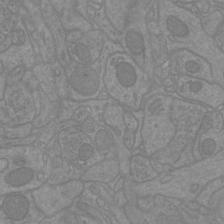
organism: Mouse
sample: Cortical neurons